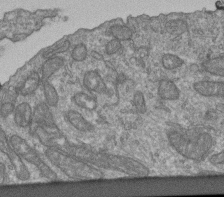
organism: Human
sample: Retinal organoid Rod and Cone cells